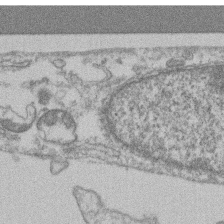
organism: Mouse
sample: T cell stromal cell synapse